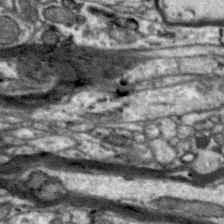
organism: Zebra finch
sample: Brain